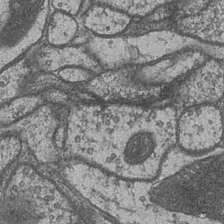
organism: Drosophila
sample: Optic medulla